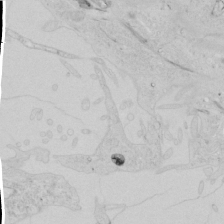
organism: Human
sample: Mitochondria in HCT116 cells